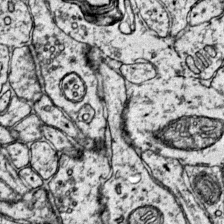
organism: Mouse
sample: Primary visual cortex